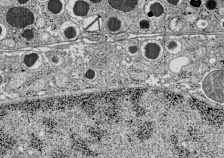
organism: C57BL Mouse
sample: Pancreatic islet